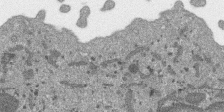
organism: Human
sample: Lung epithelial cells infected with SARS-CoV-2